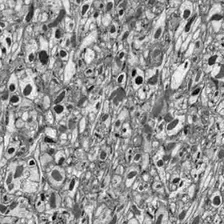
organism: Drosophila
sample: Optic lobe